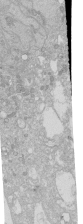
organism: Human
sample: Caco-2 cells